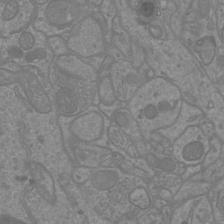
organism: Mouse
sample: Cortical neurons